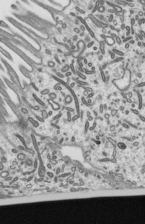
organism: Mouse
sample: Mouse epididymis efferent ductule cilia